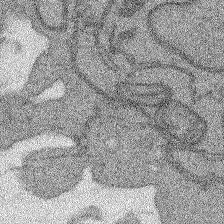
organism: Human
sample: HeLa cells